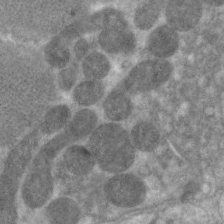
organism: C. elegans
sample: Pharynx